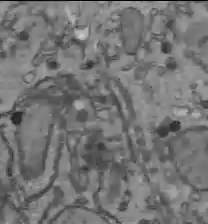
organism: C57BL Mouse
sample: Liver